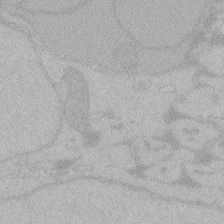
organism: Zebrafish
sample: Macrophage infected with Toxoplasma gondii